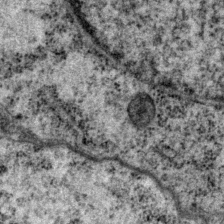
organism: P. pacificus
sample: Pharynx